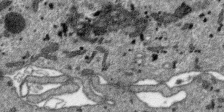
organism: Human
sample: Lung epithelial cells, uninfected (mock) control